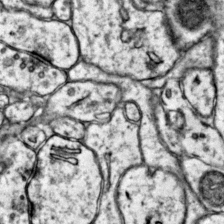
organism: Mouse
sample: Primary visual cortex